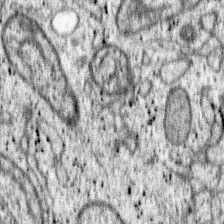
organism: Human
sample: HeLa cells